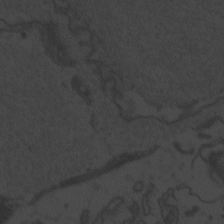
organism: Zebrafish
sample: Macrophage infected with Toxoplasma gondii